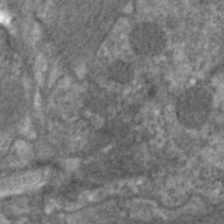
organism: C. elegans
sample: Pharynx